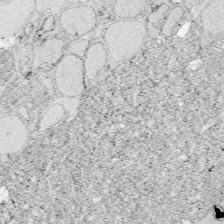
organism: Zebrafish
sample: Whole-Brain